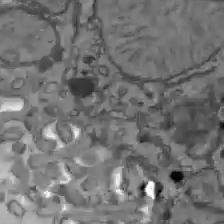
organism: C57BL Mouse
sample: Liver